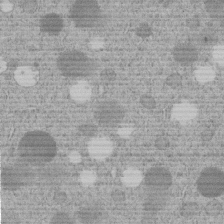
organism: C. elegans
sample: C. elegans embryo early stage